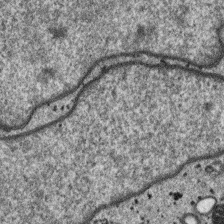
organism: Human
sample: Lung epithelial cells infected with SARS-CoV-2